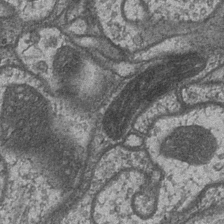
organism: Drosophila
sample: Optic medulla